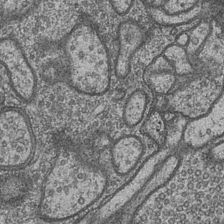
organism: Drosophila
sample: Optic medulla